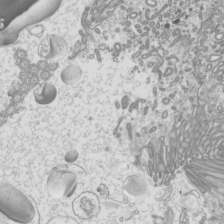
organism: Mouse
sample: Cilia; mouse epididymis